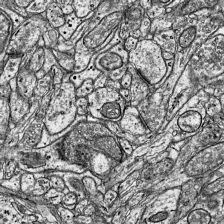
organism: Mouse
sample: Visual Cortex